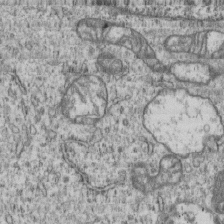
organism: Human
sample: MDA-MB-231 cells